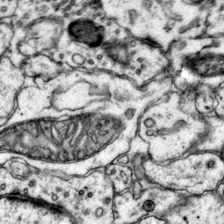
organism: Mouse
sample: Primary visual cortex